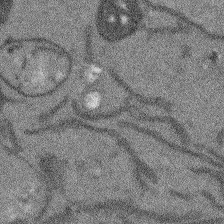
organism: Arabidopsis thaliana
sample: Root tip